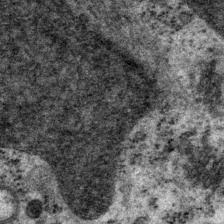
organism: P. pacificus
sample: Pharynx